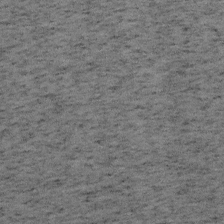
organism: Mouse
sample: OT-I killer T cells with ID8 ovarian cancer cells